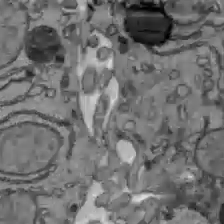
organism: C57BL Mouse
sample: Liver